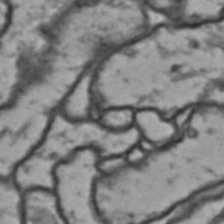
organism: Drosophila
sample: Brain